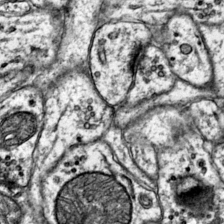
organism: Mouse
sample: Primary visual cortex